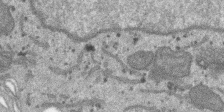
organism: Human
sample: Lung epithelial cells infected with SARS-CoV-2